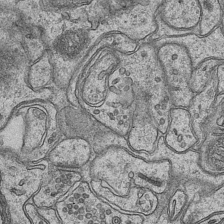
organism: Mouse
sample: CA1 Hippocampus